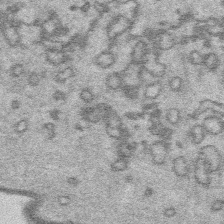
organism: Platynereis dumerilii